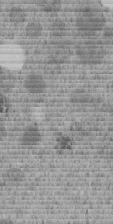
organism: C. elegans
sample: C. elegans embryo early stage